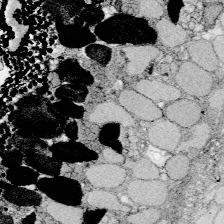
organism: Zebrafish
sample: Whole-Brain